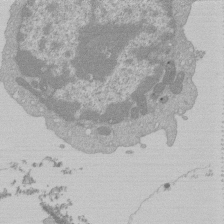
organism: Mouse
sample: Activated Pmel transgenic CD8+ T Cells